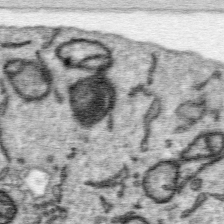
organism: Human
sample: HeLa cells